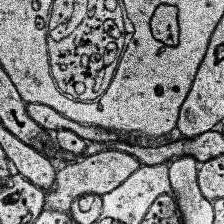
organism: Human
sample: Temporal Lobe